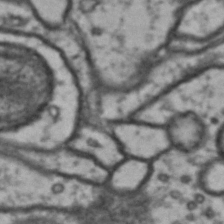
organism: Drosophila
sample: Brain